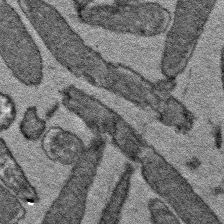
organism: E. coli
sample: E. Coli Bacteria